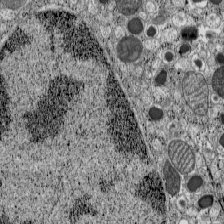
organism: C57BL Mouse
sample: Pancreatic islet